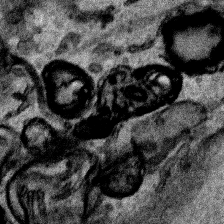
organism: Human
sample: Mitochondria in HCT116 cells